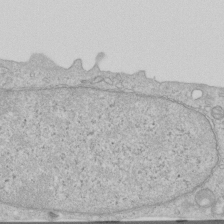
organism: Human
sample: Centriole in RPE cells